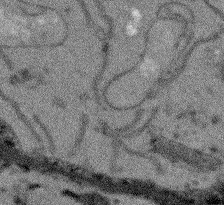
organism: Arabidopsis thaliana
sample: Root tip